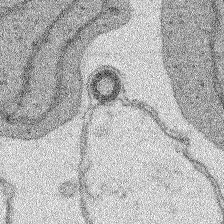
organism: Human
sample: HeLa cells